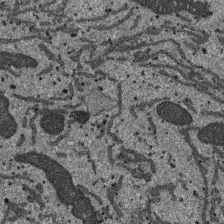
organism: Human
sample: Lung epithelial cells infected with SARS-CoV-2